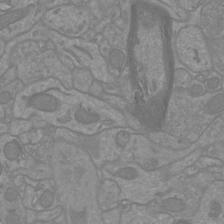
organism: Mouse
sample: Cortical neurons